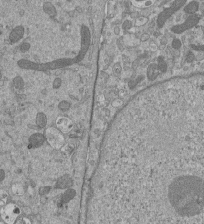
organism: Mouse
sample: ED-1 cell nuclei; centrioles